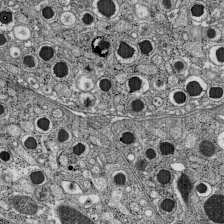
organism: C57BL Mouse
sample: Pancreatic islet